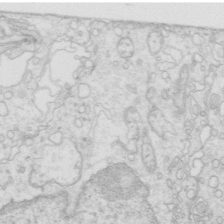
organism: Mouse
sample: Multiciliated cells